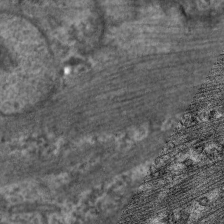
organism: C. elegans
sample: Pharynx